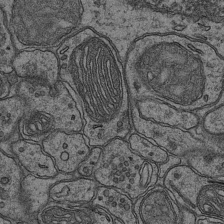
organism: Mouse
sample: CA1 Hippocampus